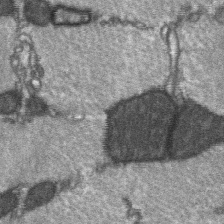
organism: C57BL Mouse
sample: Soleus